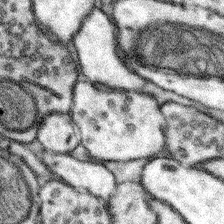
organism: Mouse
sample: Somatosensory cortex neuropil